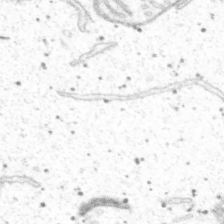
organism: Human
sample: HeLa cells